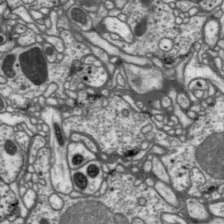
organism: Drosophila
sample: Protocerebral bridge